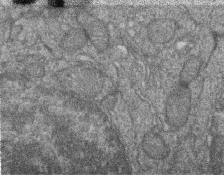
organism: Zebrafish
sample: Cilia; retinal pigment epithelium